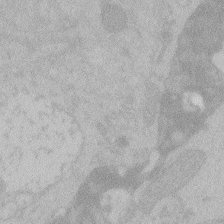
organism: Zebrafish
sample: Macrophage infected with Toxoplasma gondii